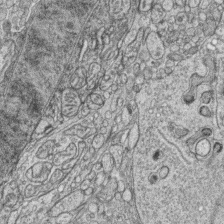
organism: Zebrafish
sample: synaptic ribbons in rod cells and cone cells